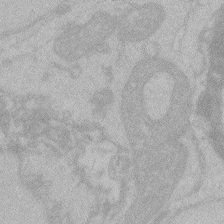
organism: Zebrafish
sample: Macrophage infected with Toxoplasma gondii